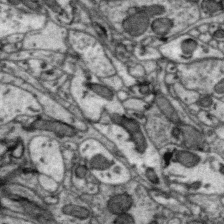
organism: Zebra finch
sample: Brain